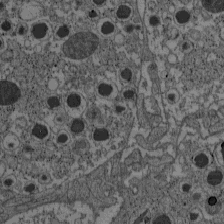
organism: C57BL Mouse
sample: Pancreatic islet